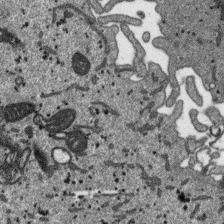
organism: Human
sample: Lung epithelial cells infected with SARS-CoV-2